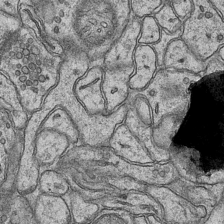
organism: Mouse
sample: CA1 Hippocampus